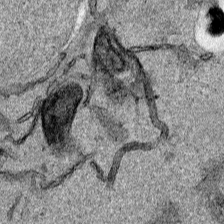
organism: Human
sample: Mitochondria in HCT116 cells